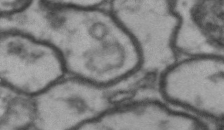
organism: Drosophila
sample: Brain